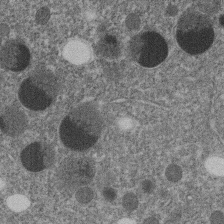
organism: C. elegans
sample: C. elegans embryo early stage